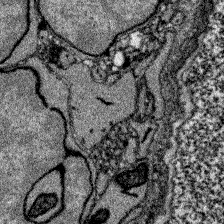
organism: Zebrafish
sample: Larval olfactory bulb